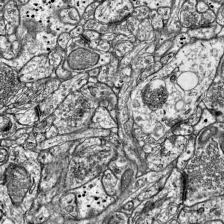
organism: Mouse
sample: Visual Cortex